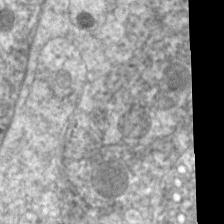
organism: C. elegans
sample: Pharynx